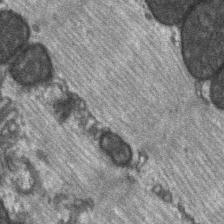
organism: C57BL Mouse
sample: Soleus